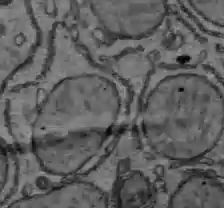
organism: C57BL Mouse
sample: Liver